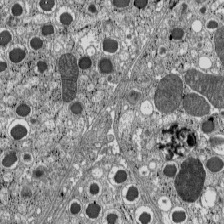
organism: C57BL Mouse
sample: Pancreatic islet